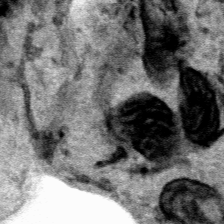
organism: Human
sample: Mitochondria in HCT116 cells